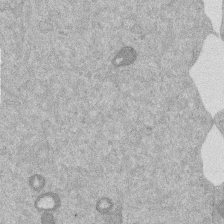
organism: Mouse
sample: Dividing mouse embryo 1 cell stage